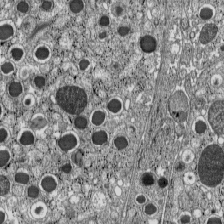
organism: C57BL Mouse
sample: Pancreatic islet